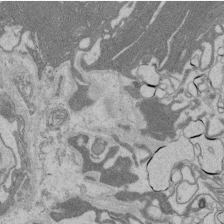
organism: Rat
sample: Salivary granule